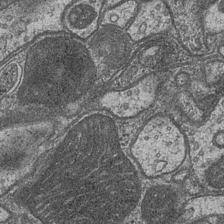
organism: Drosophila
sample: Optic medulla